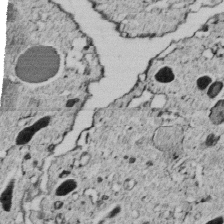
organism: C. elegans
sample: C. elegans embryo early stage